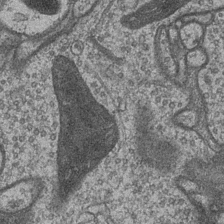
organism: Drosophila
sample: Optic medulla